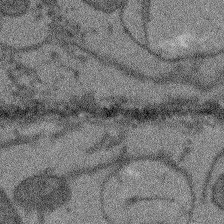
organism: Arabidopsis thaliana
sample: Root tip